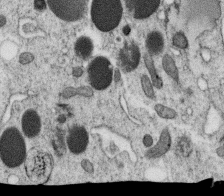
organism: C. elegans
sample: C. elegans oocyte; sperm cells